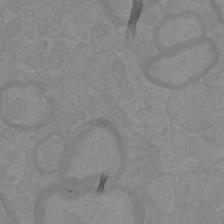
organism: Mouse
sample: Cortical neurons